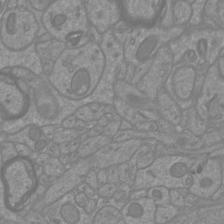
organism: Mouse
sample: Cortical neurons